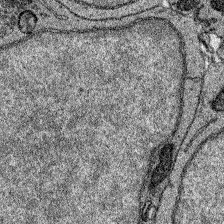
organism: Zebrafish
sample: Larval olfactory bulb